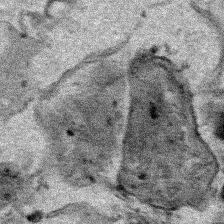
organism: Human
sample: Mitochondria in HCT116 cells